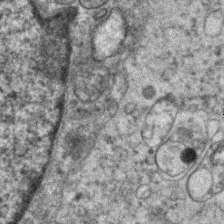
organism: Human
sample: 1205lu cells